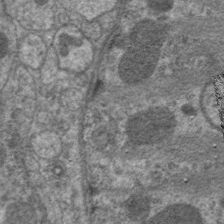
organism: C. elegans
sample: Pharynx